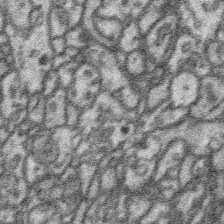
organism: Platynereis dumerilii